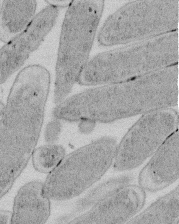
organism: E. coli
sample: Bacterial nucleoid